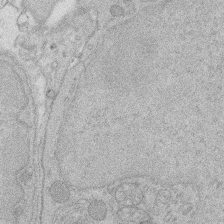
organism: Rat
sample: Salivary granule